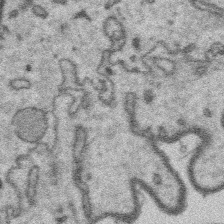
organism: Platynereis dumerilii